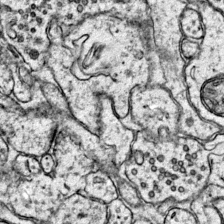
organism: Mouse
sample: Primary visual cortex